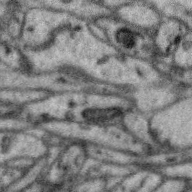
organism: Zebra finch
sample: Brain